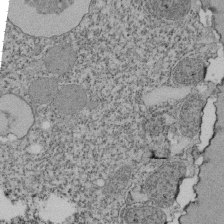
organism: Tetrahymena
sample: Cilia in tetrahymena